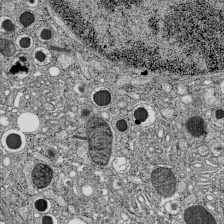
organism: C57BL Mouse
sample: Pancreatic islet